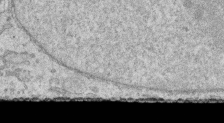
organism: Human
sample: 1205lu cells